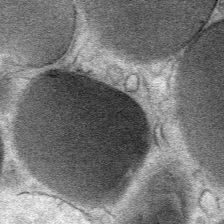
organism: Mouse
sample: Mouse Salivary gland